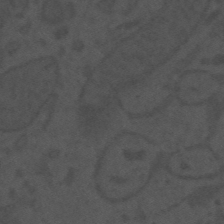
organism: Mouse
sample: Suprachiasmatic nucleus